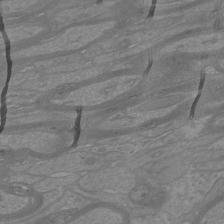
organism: Mouse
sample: Cortical neurons